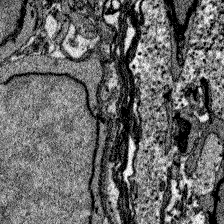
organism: Zebrafish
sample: Larval olfactory bulb